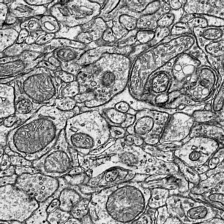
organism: Mouse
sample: Visual Cortex